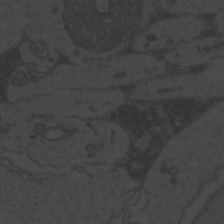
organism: Zebrafish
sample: Macrophage infected with Toxoplasma gondii